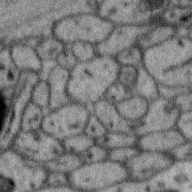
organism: Zebra finch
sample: Brain